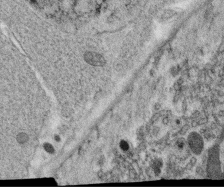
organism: C. elegans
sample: C. elegans oocyte; sperm cells